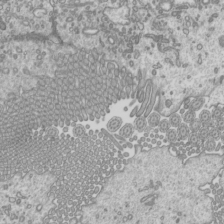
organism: Mouse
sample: Cilia; mouse epididymis